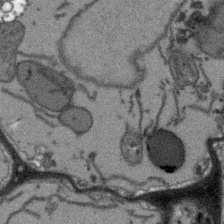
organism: Arabidopsis thaliana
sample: Root tip